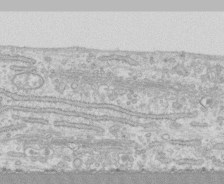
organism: Human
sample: CRL-1474